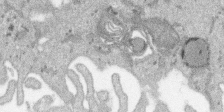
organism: Human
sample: Lung epithelial cells infected with SARS-CoV-2